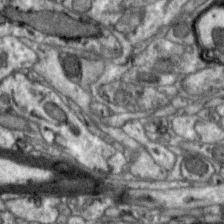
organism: Zebra finch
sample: Brain